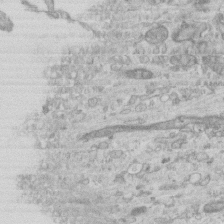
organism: Mouse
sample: Centriole in ependymal cells